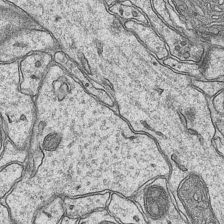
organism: Mouse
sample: CA1 Hippocampus